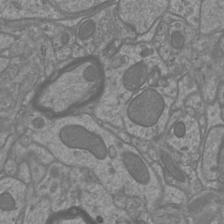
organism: Mouse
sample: Cortical neurons